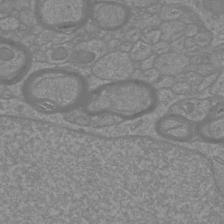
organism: Mouse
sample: Cortical neurons